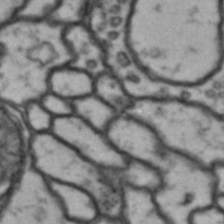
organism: Drosophila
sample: Brain